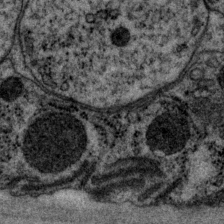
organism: P. pacificus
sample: Pharynx